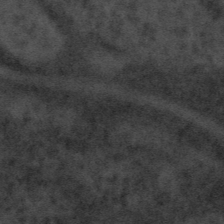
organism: Tuwongella immobilis